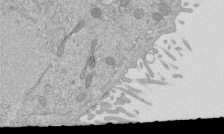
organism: Mouse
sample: ED-1 cell nuclei; centrioles